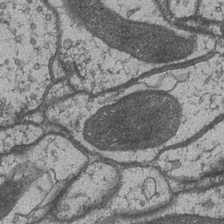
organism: Drosophila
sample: Optic medulla